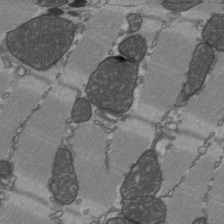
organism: C57BL Mouse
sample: Heart